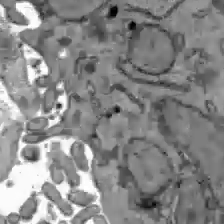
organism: C57BL Mouse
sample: Liver